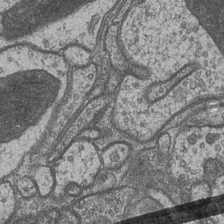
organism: Drosophila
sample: Optic medulla